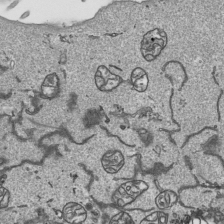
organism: Human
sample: Mitochondria in HCT116 cells